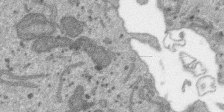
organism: Human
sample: Lung epithelial cells infected with SARS-CoV-2